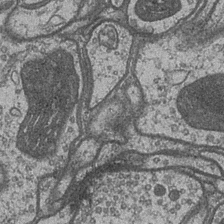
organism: Drosophila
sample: Optic medulla